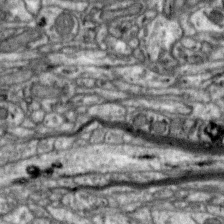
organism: Zebra finch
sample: Brain